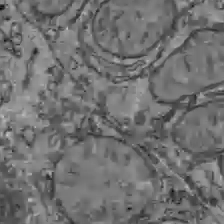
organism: C57BL Mouse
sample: Liver